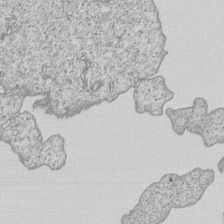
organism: Human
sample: MDA-MB-231 cells